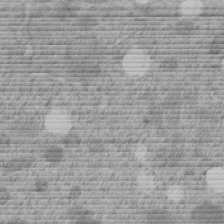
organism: C. elegans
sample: C. elegans embryo early stage